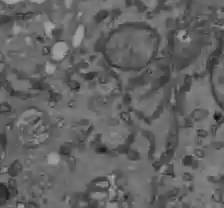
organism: C57BL Mouse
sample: Liver